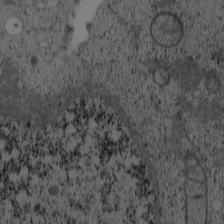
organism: African green monkey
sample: COS-7 cells